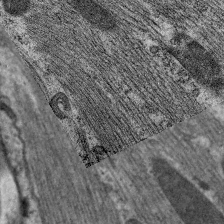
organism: C. elegans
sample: Pharynx